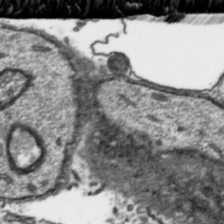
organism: Toxoplasma gondii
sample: Parasites in a vacuole inside a host cell